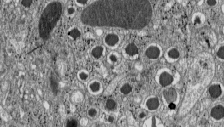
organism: C57BL Mouse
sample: Pancreatic islet